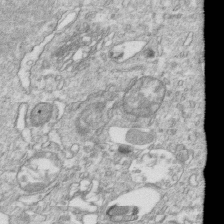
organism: Mouse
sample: Activated OT-1 CD8+ T cells